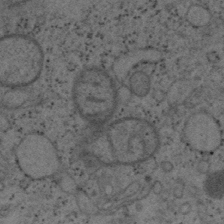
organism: Human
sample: HeLa cells